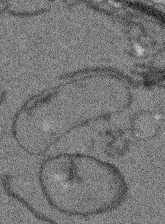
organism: Arabidopsis thaliana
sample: Root tip